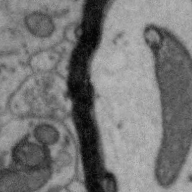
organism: Zebra finch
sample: Brain